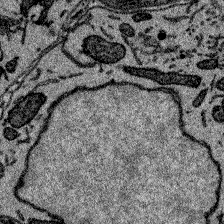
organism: Zebrafish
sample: Larval olfactory bulb